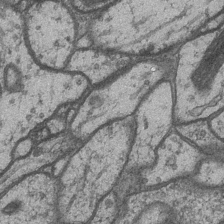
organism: Drosophila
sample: Optic medulla